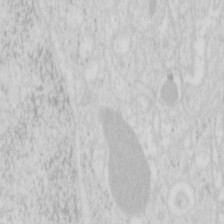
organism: Mouse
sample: Pancreas